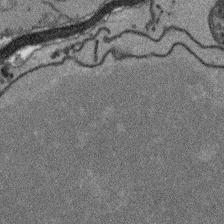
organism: Arabidopsis thaliana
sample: Root tip